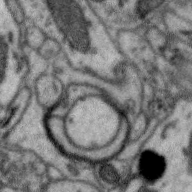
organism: Zebra finch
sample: Brain